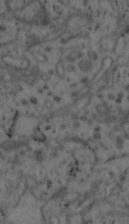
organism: Human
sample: HeLa cells